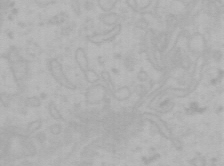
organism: Mouse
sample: Choroid plexus